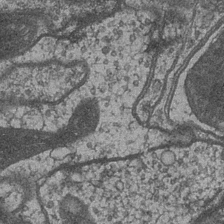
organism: Drosophila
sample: Optic medulla